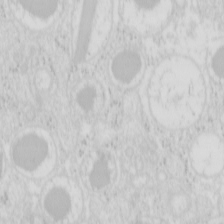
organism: Mouse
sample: Pancreas